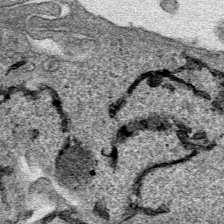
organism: Human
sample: Mitochondria in HCT116 cells